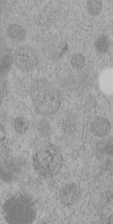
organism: C. elegans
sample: C. elegans embryo early stage